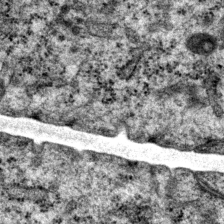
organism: P. pacificus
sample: Pharynx